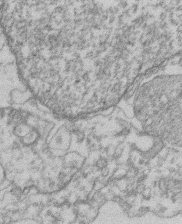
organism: Mouse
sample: T cell stromal cell synapse